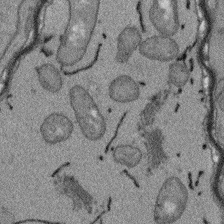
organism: Arabidopsis thaliana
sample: Root tip